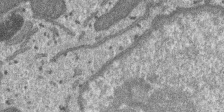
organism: Human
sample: Lung epithelial cells infected with SARS-CoV-2